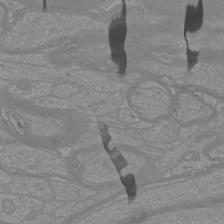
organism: Mouse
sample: Cortical neurons